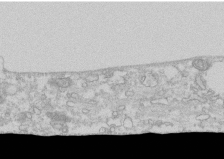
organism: Human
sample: CRL-1474